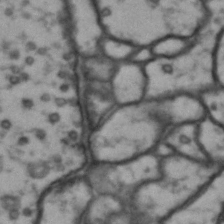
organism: Drosophila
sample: Brain